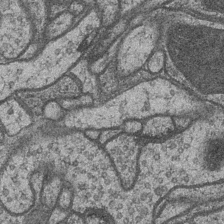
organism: Drosophila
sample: Optic medulla